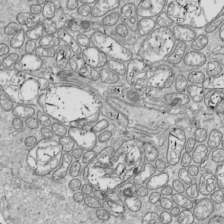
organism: Drosophila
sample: Cell division; meiosis; drosophila spermatocytes